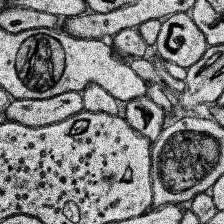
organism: Human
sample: Temporal Lobe